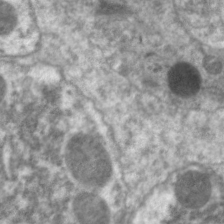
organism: C. elegans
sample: Pharynx